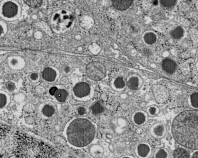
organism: C57BL Mouse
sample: Pancreatic islet